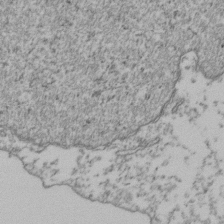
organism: Human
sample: Activated Jurkat CD4+ T cells